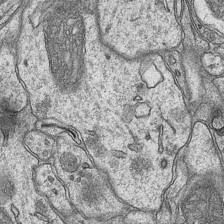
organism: Mouse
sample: CA1 Hippocampus